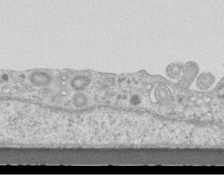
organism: Mouse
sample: Centriole in ependymal cells